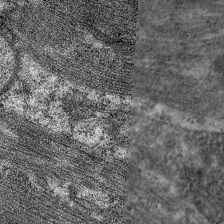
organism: C. elegans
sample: Pharynx